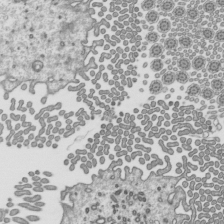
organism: Mouse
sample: Mouse epididymis efferent ductule cilia